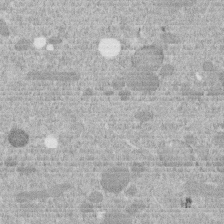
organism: C. elegans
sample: C. elegans embryo early stage